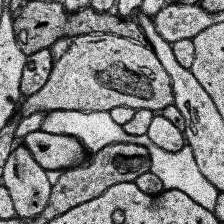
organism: Human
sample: Temporal Lobe